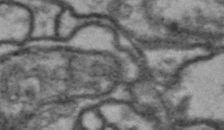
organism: Drosophila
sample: Brain